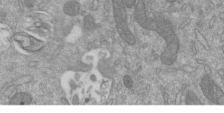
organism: Mouse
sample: ED-1 cell nuclei; centrioles